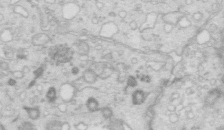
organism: Mouse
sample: Multiciliated cells